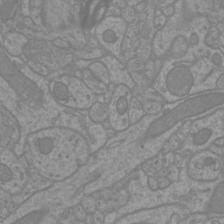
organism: Mouse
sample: Cortical neurons